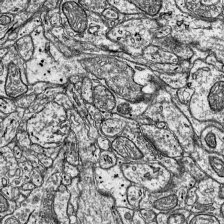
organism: Mouse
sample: Visual Cortex